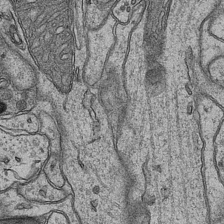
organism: Mouse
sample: CA1 Hippocampus